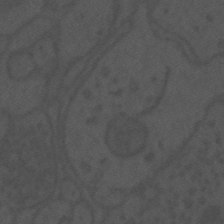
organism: Mouse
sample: Suprachiasmatic nucleus